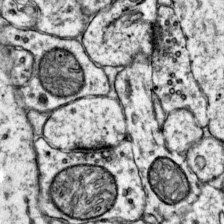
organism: Mouse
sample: Primary visual cortex